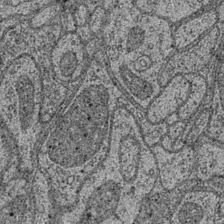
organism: Drosophila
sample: Optic medulla